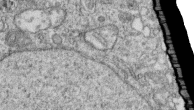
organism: Human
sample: HeLa cell HIV synapse